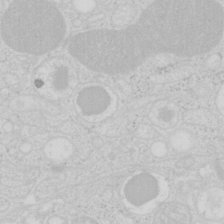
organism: Mouse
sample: Pancreas